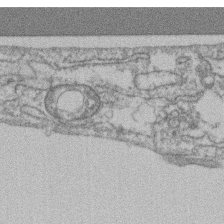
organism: Mouse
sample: T cell stromal cell synapse